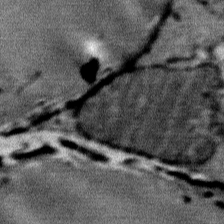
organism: Mouse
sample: Mouse Salivary gland